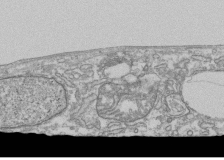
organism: Human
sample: Fibroblast cells